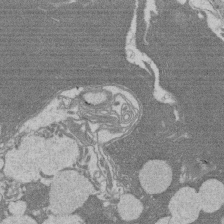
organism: Rat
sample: Salivary granule